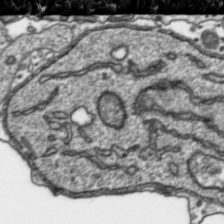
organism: Toxoplasma gondii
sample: Parasites in a vacuole inside a host cell